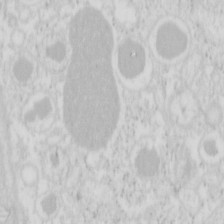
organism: Mouse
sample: Pancreas